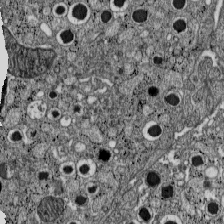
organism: C57BL Mouse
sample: Pancreatic islet